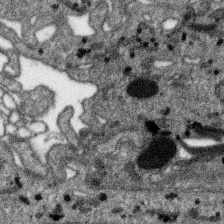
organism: Human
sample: Lung epithelial cells infected with SARS-CoV-2